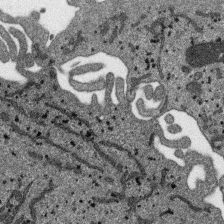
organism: Human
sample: Lung epithelial cells infected with SARS-CoV-2